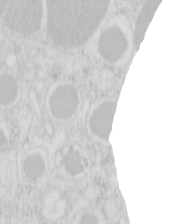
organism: Mouse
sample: Pancreas